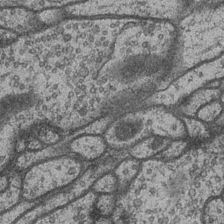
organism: Drosophila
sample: Optic medulla